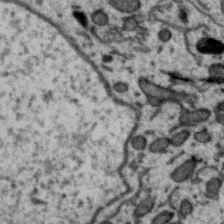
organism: Zebra finch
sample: Brain